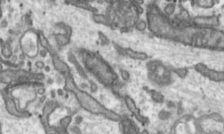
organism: Toxoplasma gondii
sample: Parasites in a vacuole inside a host cell